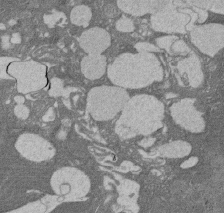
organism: Rat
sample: Salivary granule